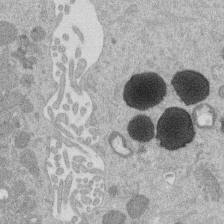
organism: Mouse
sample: Dividing mouse embryo 1 cell stage